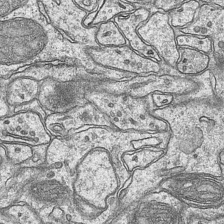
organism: Mouse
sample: CA1 Hippocampus